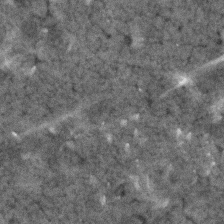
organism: Human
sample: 1205lu cells